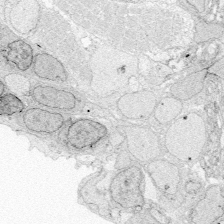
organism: Zebrafish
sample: Whole-Brain